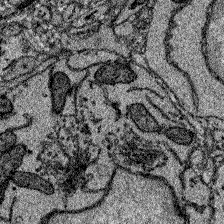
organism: Zebrafish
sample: Larval olfactory bulb